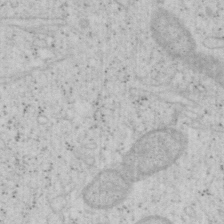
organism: Human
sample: HeLa cells